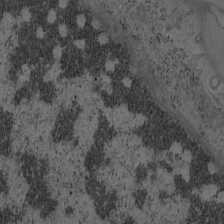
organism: Mouse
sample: OT-I killer T cells with ID8 ovarian cancer cells